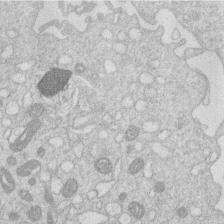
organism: Human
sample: Macrophage cells